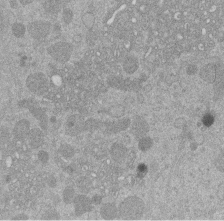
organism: Mouse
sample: Dividing mouse embryo 1 cell stage